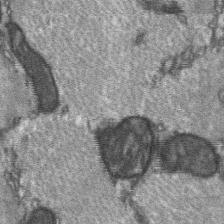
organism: C57BL Mouse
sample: Soleus